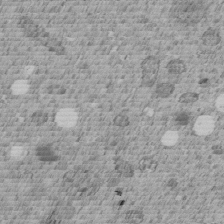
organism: C. elegans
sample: C. elegans embryo early stage